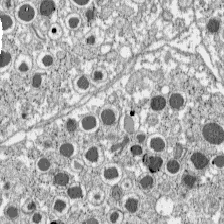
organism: C57BL Mouse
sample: Pancreatic islet